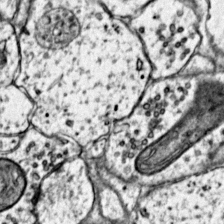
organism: Mouse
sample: Primary visual cortex